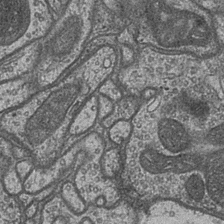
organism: Drosophila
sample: Optic medulla